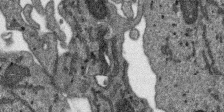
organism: Human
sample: Lung epithelial cells infected with SARS-CoV-2